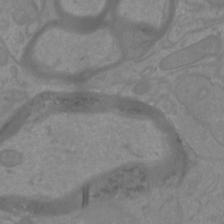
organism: Mouse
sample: Cortical neurons